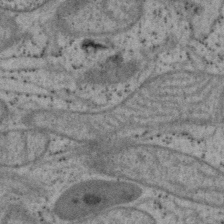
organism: Human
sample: HeLa cells